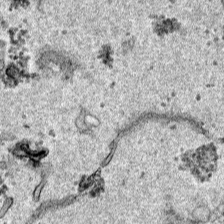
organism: Human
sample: Mitochondria in HCT116 cells